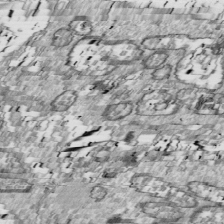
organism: Drosophila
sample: Cell division; meiosis; drosophila spermatocytes